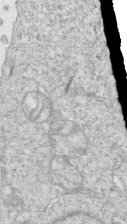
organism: Human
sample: HeLa cell HIV synapse